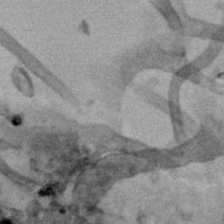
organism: Human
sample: Mitochondria in HCT116 cells